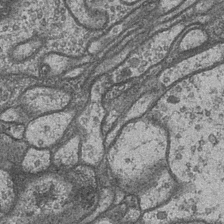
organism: Drosophila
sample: Optic medulla